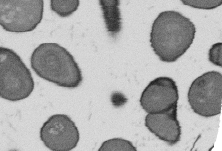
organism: B. subtilis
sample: Bacterial spore